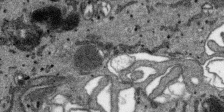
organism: Human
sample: Lung epithelial cells, uninfected (mock) control